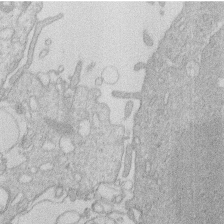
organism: Human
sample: Macrophage cells